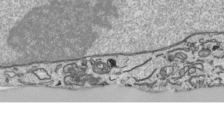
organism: Human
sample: Mitochondria in HCT116 cells